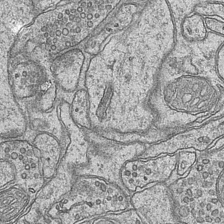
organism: Mouse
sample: CA1 Hippocampus